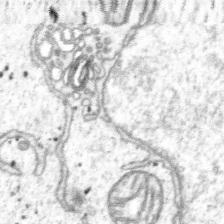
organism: Human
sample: HeLa cells